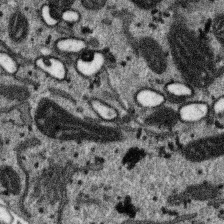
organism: Human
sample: Lung epithelial cells infected with SARS-CoV-2